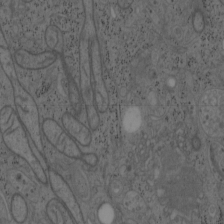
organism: Mouse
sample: OT-I killer T cells with ID8 ovarian cancer cells